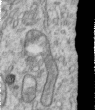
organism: Human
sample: Centriole in RPE cells